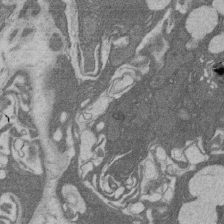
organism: Rat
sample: Salivary granule